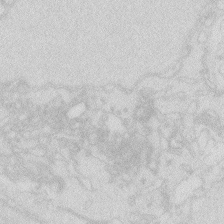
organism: Zebrafish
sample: Macrophage